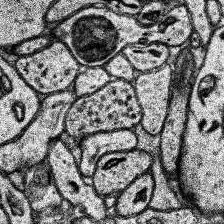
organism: Human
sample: Temporal Lobe